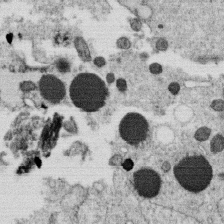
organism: C. elegans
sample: C. elegans oocyte; sperm cells